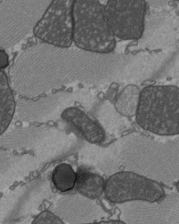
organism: C57BL Mouse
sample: Heart